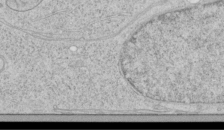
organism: Human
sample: Mitochondria in HCT116 cells